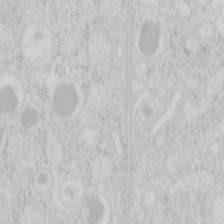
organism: Mouse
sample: Pancreas